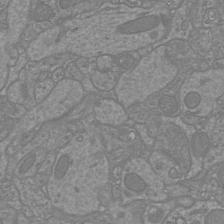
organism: Mouse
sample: Cortical neurons